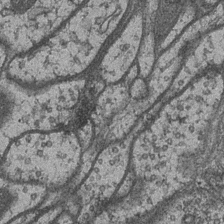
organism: Drosophila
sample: Optic medulla